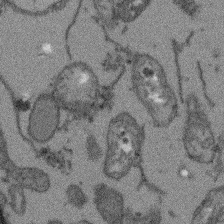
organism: Arabidopsis thaliana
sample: Root tip